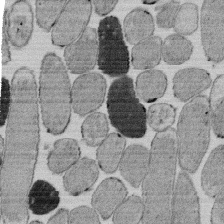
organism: E. coli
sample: Bacterial nucleoid